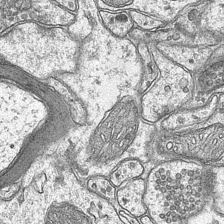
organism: Mouse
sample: CA1 Hippocampus